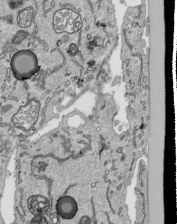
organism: Human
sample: Mitochondria in HCT116 cells